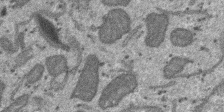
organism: Human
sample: Lung epithelial cells infected with SARS-CoV-2